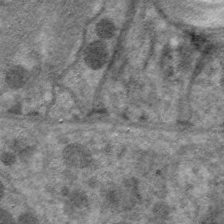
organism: C. elegans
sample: Pharynx